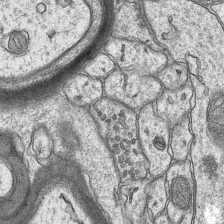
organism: Mouse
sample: CA1 Hippocampus